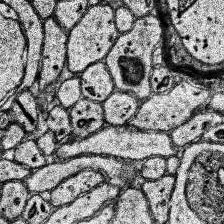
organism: Human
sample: Temporal Lobe